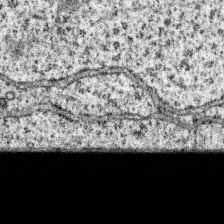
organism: Human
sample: HeLa cells